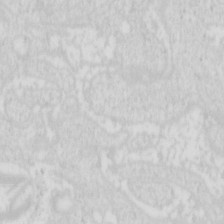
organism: Mouse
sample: Pancreas